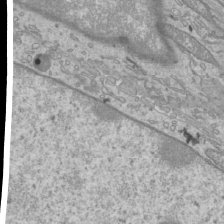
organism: Mouse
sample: Cilia; mouse epididymis